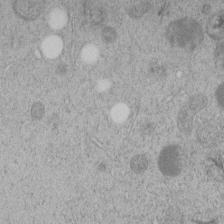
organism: C. elegans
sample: C. elegans embryo early stage